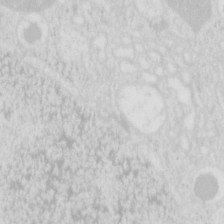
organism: Mouse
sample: Pancreas